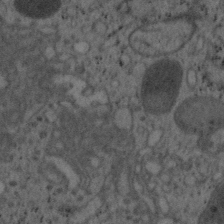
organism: Human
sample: HeLa cells